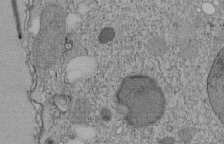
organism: Tetrahymena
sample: Cilia in tetrahymena